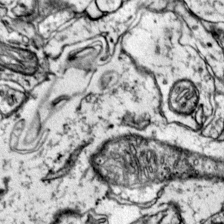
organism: Mouse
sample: Primary visual cortex